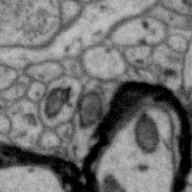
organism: Zebra finch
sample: Brain